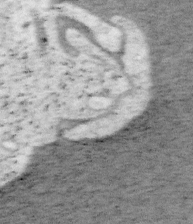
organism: Mouse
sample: OT-I killer T cells with ID8 ovarian cancer cells